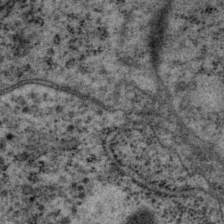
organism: P. pacificus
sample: Pharynx